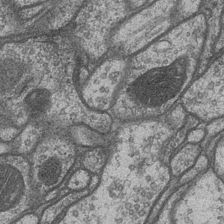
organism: Drosophila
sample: Optic medulla